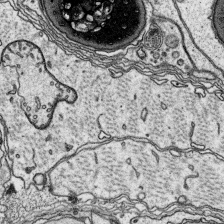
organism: Platynereis dumerilii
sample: Parapodia